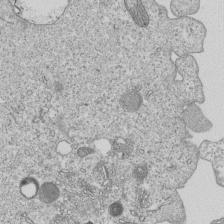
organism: Human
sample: MDA-MB-231 cells